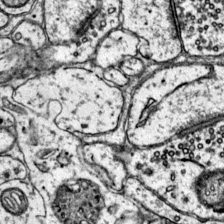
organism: Mouse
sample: Primary visual cortex